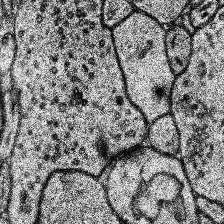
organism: Human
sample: Temporal Lobe